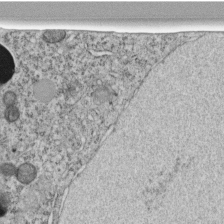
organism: C. elegans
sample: C. elegans embryo early stage